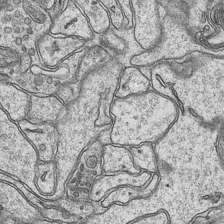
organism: Mouse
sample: CA1 Hippocampus